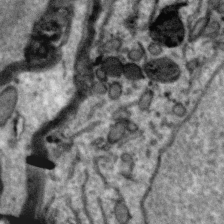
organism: Zebra finch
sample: Brain